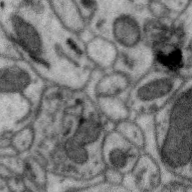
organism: Zebra finch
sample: Brain